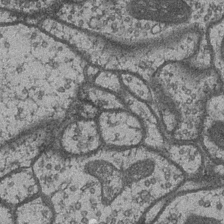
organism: Drosophila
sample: Optic medulla